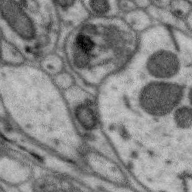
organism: Zebra finch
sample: Brain